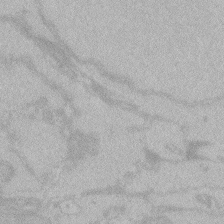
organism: Zebrafish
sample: Macrophage infected with Toxoplasma gondii